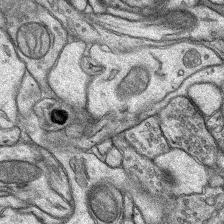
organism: Rat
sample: Hippocampus